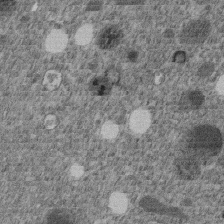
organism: C. elegans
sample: C. elegans embryo early stage